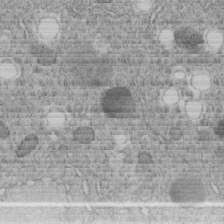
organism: C. elegans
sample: C. elegans embryo early stage